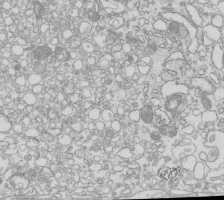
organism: Mouse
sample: Macrophages